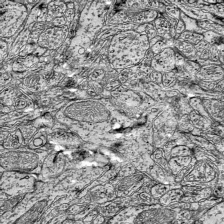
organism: Mouse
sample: Visual Cortex